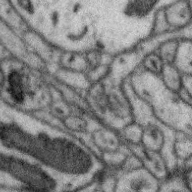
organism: Zebra finch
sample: Brain